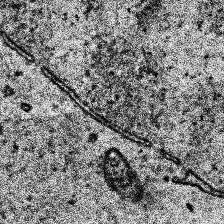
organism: Human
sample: Temporal Lobe